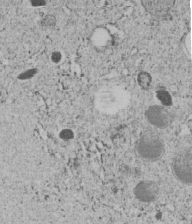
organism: C. elegans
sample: C. elegans embryo early stage